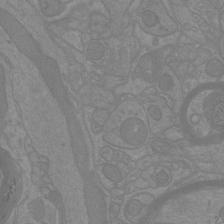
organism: Mouse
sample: Cortical neurons